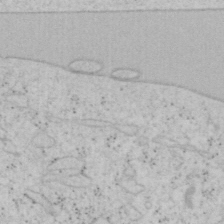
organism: Human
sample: HeLa cells